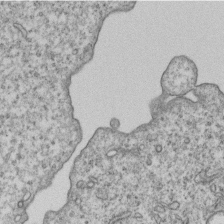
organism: Human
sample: MDA-MB-231 cells